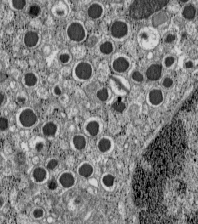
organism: C57BL Mouse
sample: Pancreatic islet